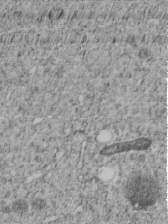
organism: C. elegans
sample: C. elegans embryo early stage